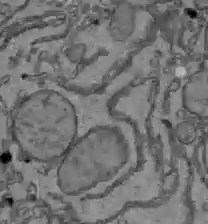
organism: C57BL Mouse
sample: Liver